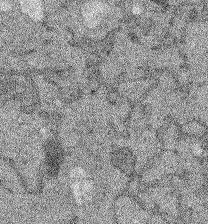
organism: Human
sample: HeLa cells